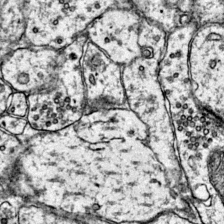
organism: Mouse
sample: Primary visual cortex